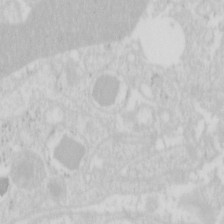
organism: Mouse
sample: Pancreas